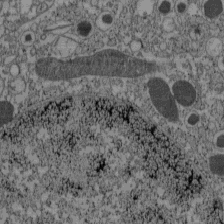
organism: C57BL Mouse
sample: Pancreatic islet